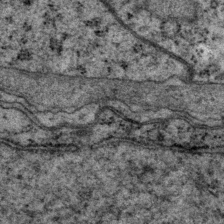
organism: P. pacificus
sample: Pharynx